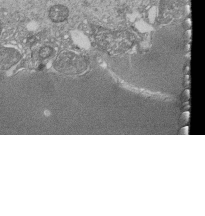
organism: Tetrahymena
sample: Cilia in tetrahymena